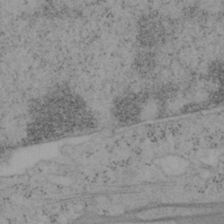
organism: Mouse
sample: OT-I killer T cells with ID8 ovarian cancer cells